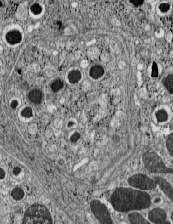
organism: C57BL Mouse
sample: Pancreatic islet